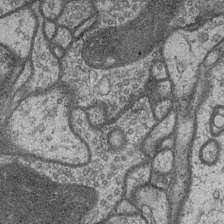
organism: Drosophila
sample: Optic medulla